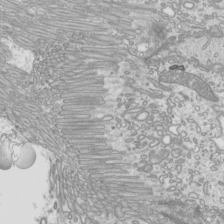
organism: Mouse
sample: Cilia; mouse epididymis